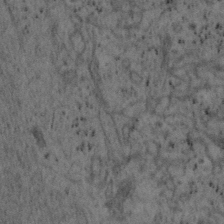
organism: Human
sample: HeLa cells